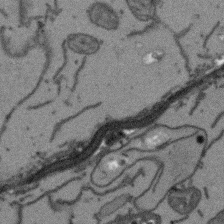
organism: Arabidopsis thaliana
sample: Root tip